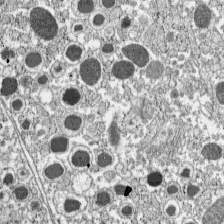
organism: C57BL Mouse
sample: Pancreatic islet